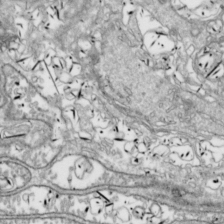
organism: Drosophila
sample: Cell division; meiosis; drosophila spermatocytes